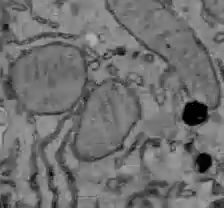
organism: C57BL Mouse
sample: Liver